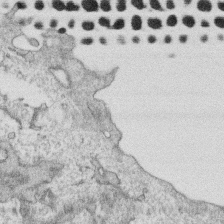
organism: Human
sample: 1205lu cells